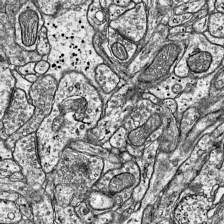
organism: Mouse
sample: Visual Cortex